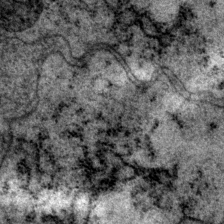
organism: P. pacificus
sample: Pharynx